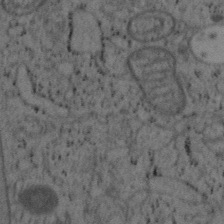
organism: Human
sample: HeLa cells